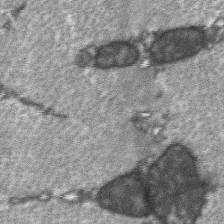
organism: C57BL Mouse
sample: Soleus